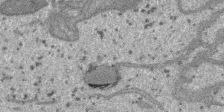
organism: Human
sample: Lung epithelial cells infected with SARS-CoV-2